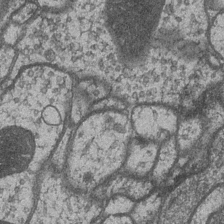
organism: Drosophila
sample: Optic medulla